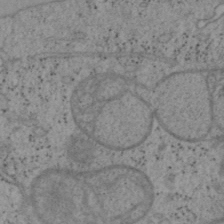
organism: Human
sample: HeLa cells